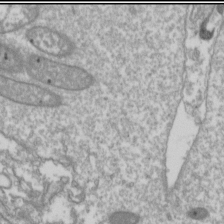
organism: Drosophila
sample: Cell division; meiosis; drosophila spermatocytes